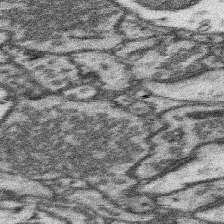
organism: Mouse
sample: Somatosensory cortex neuropil